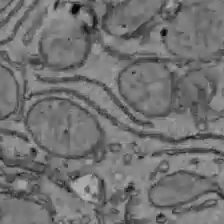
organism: C57BL Mouse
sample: Liver